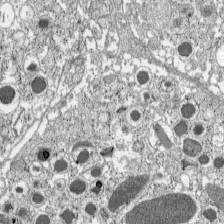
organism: C57BL Mouse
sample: Pancreatic islet